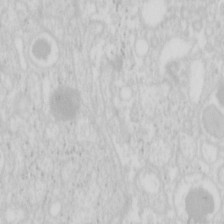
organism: Mouse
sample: Pancreas